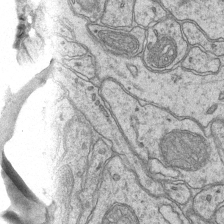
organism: Mouse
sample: CA1 Hippocampus